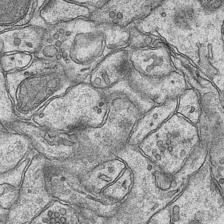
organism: Mouse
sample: CA1 Hippocampus